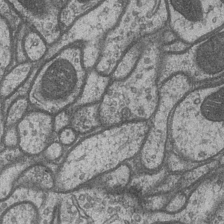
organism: Drosophila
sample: Optic medulla